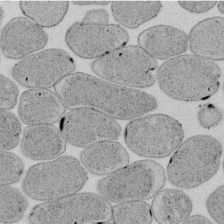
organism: E. coli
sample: Bacterial nucleoid